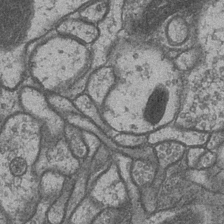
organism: Drosophila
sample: Optic medulla